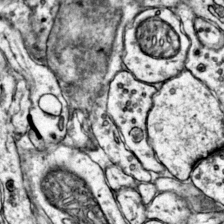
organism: Mouse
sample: Primary visual cortex